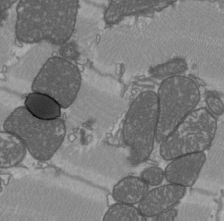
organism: C57BL Mouse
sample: Heart